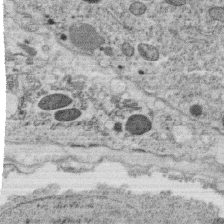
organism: C. elegans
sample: C. elegans oocyte; sperm cells